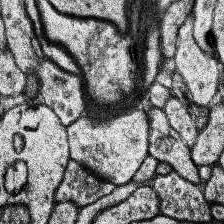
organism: Human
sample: Temporal Lobe